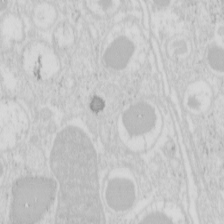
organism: Mouse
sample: Pancreas